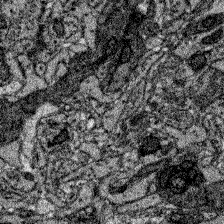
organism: Zebrafish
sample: Larval olfactory bulb